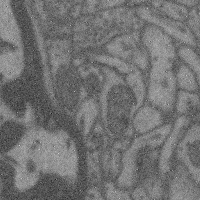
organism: Mouse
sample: Cerebral cortex